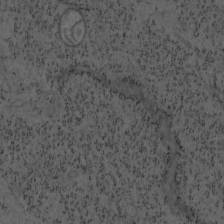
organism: Mouse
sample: OT-I killer T cells with ID8 ovarian cancer cells